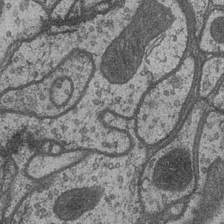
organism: Drosophila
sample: Optic medulla